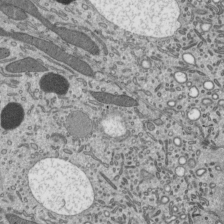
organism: Mouse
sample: Mouse epididymis efferent ductule cilia